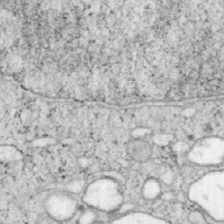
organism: Mouse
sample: OT-I killer T cells with ID8 ovarian cancer cells